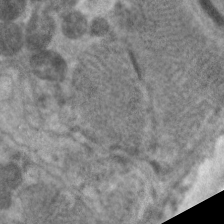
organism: C. elegans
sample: Pharynx